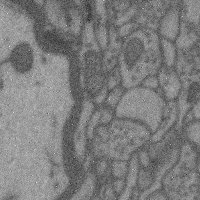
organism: Mouse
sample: Cerebral cortex